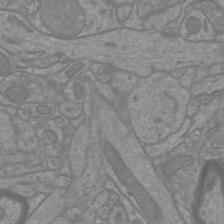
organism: Mouse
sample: Cortical neurons